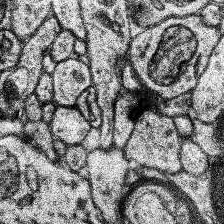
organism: Human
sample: Temporal Lobe